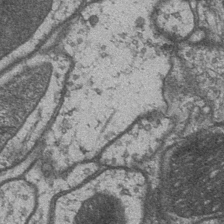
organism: Drosophila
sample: Optic medulla